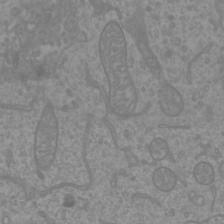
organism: Mouse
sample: Cortical neurons